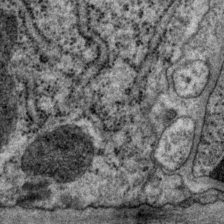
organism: P. pacificus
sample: Pharynx